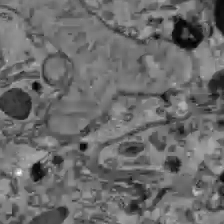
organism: C57BL Mouse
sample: Liver